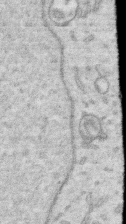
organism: Human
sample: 1205lu cells